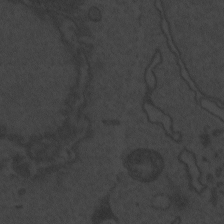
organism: Zebrafish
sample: Macrophage infected with Toxoplasma gondii